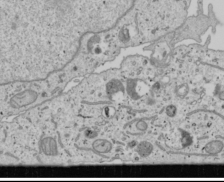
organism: Human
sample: Mitochondria in U2OS cells